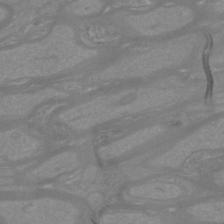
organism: Mouse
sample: Cortical neurons